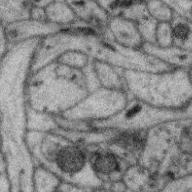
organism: Zebra finch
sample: Brain